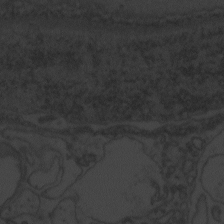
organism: Zebrafish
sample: Macrophage infected with Toxoplasma gondii